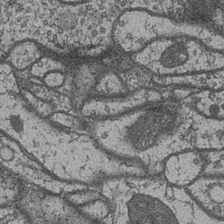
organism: Drosophila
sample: Optic medulla